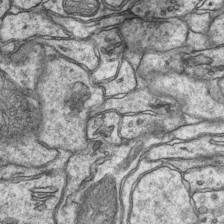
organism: Mouse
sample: CA1 Hippocampus